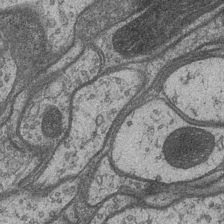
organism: Drosophila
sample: Optic medulla